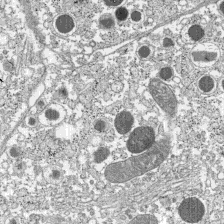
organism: C57BL Mouse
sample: Pancreatic islet